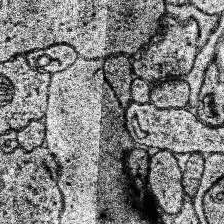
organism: Human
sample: Temporal Lobe